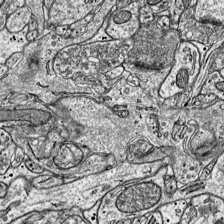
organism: Mouse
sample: Visual Cortex